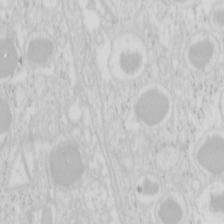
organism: Mouse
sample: Pancreas